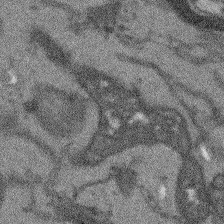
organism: Arabidopsis thaliana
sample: Root tip